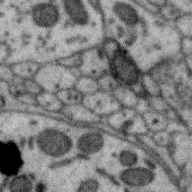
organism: Zebra finch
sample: Brain